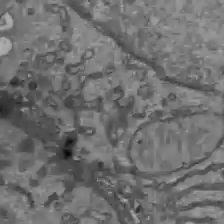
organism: C57BL Mouse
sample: Liver